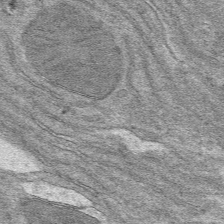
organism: Mouse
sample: Mouse hepatocytes